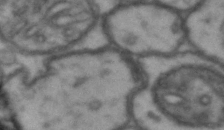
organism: Drosophila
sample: Brain